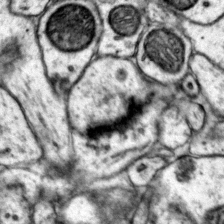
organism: Mouse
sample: Primary visual cortex